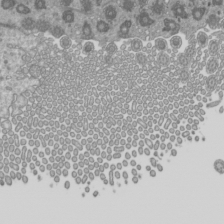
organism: Mouse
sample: Cilia; mouse epididymis